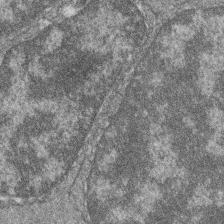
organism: Zebrafish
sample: Cilia; retinal pigment epithelium